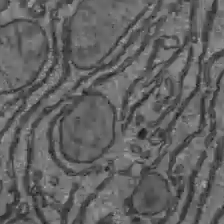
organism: C57BL Mouse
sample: Liver